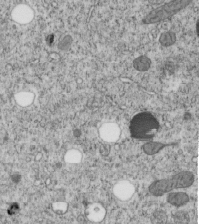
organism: C. elegans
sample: C. elegans embryo early stage